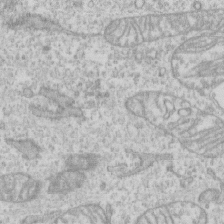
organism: Human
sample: CRL-1474